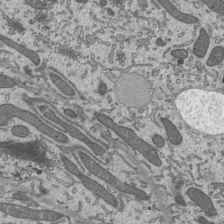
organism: Mouse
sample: Mouse epididymis efferent ductule cilia